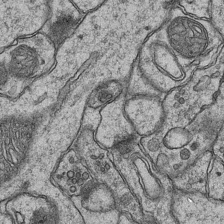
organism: Mouse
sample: CA1 Hippocampus